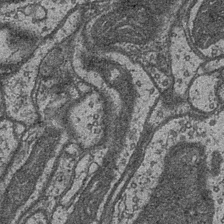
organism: Drosophila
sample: Optic medulla